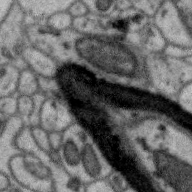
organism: Zebra finch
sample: Brain